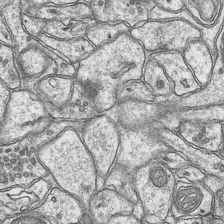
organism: Mouse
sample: CA1 Hippocampus